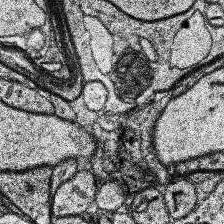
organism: Human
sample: Temporal Lobe